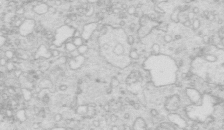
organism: Mouse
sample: Multiciliated cells